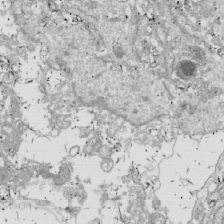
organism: Drosophila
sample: Cell division; meiosis; drosophila spermatocytes